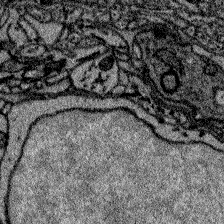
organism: Zebrafish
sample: Larval olfactory bulb